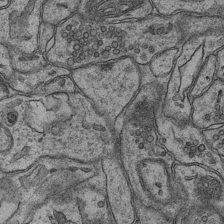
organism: Mouse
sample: CA1 Hippocampus